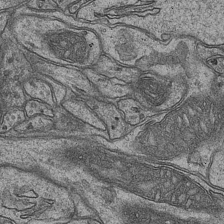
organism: Mouse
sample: CA1 Hippocampus